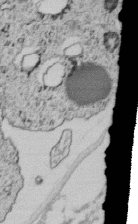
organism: C. elegans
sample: C. elegans embryo early stage